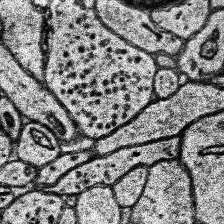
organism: Human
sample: Temporal Lobe